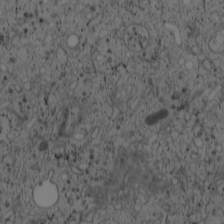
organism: African green monkey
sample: COS-7 cells